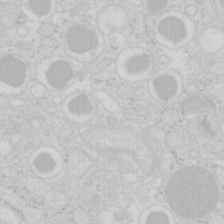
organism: Mouse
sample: Pancreas